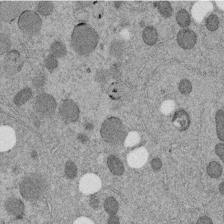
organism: C. elegans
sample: C. elegans embryo early stage